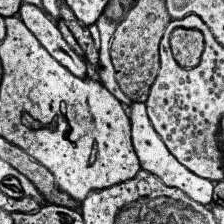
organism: Human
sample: Temporal Lobe